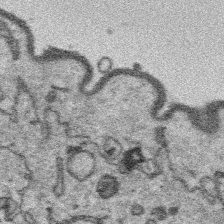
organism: Platynereis dumerilii